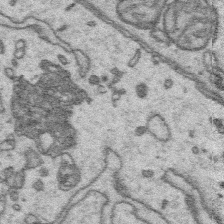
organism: Platynereis dumerilii